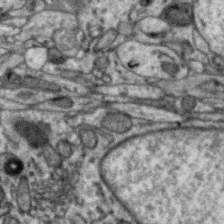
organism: Zebra finch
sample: Brain